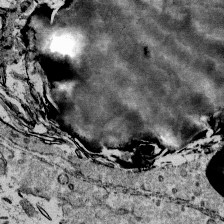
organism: Mouse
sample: Mouse Salivary gland